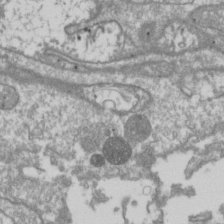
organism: Drosophila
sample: Cell division; meiosis; drosophila spermatocytes